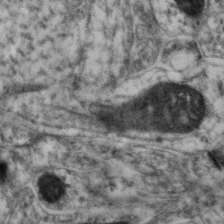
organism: Mouse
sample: Neocortex